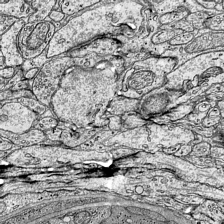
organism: Mouse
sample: Visual Cortex